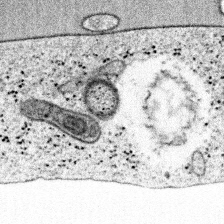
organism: Human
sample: HeLa cells